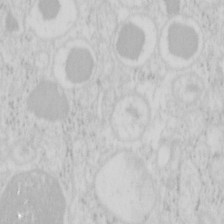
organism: Mouse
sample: Pancreas